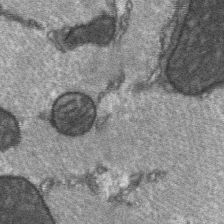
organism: C57BL Mouse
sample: Soleus